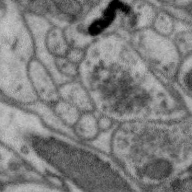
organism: Zebra finch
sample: Brain